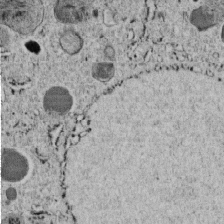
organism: C. elegans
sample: C. elegans embryo early stage